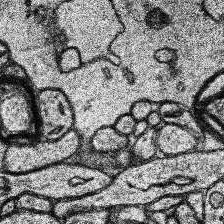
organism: Human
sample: Temporal Lobe